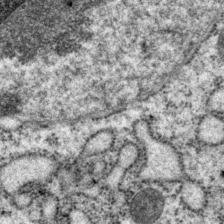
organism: P. pacificus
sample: Pharynx